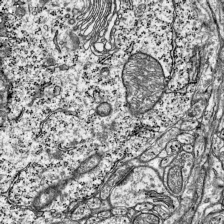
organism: Mouse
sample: Visual Cortex